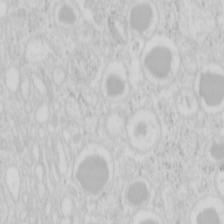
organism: Mouse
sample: Pancreas